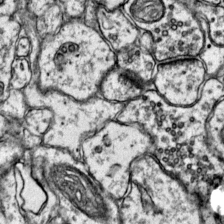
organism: Mouse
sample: Primary visual cortex